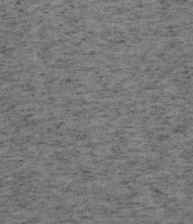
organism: Mouse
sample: OT-I killer T cells with ID8 ovarian cancer cells